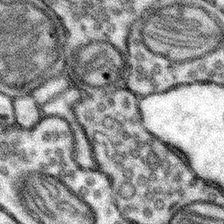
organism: Mouse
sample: Somatosensory cortex neuropil